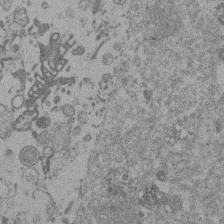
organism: Mouse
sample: Dividing mouse embryo 1 cell stage